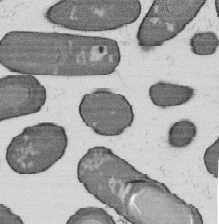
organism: B. subtilis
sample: Bacterial spore